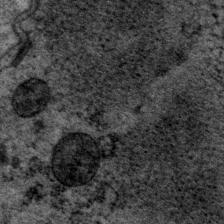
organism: P. pacificus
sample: Pharynx